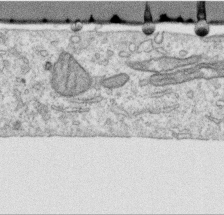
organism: Human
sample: Centriole in RPE cells